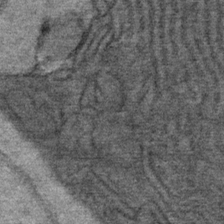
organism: Mouse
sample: Mouse Salivary gland